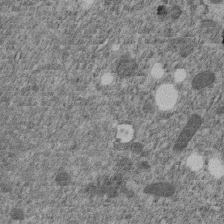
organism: C. elegans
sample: C. elegans embryo early stage